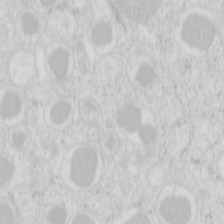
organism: Mouse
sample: Pancreas